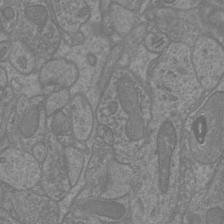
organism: Mouse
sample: Cortical neurons